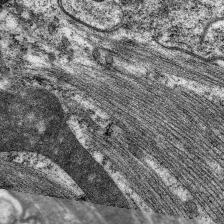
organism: C. elegans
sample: Pharynx